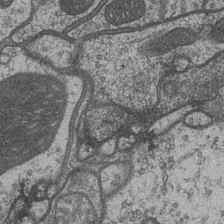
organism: Drosophila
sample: Optic medulla